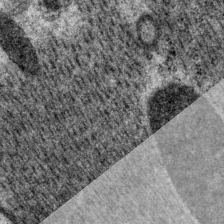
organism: P. pacificus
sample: Pharynx